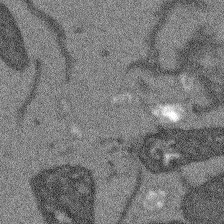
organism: Arabidopsis thaliana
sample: Root tip